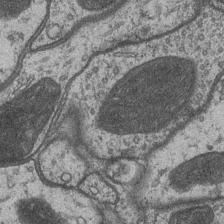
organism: Drosophila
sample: Optic medulla